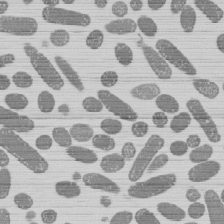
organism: E. coli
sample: Bacterial nucleoid